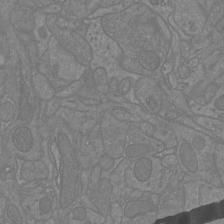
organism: Mouse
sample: Cortical neurons